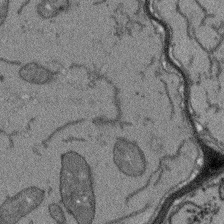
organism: Arabidopsis thaliana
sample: Root tip